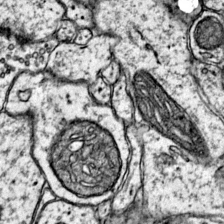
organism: Mouse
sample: Primary visual cortex